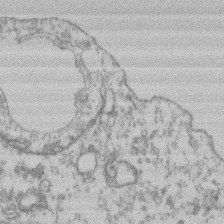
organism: Mouse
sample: T cell stromal cell synapse